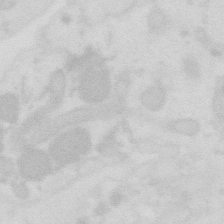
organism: Human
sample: HeLa cells